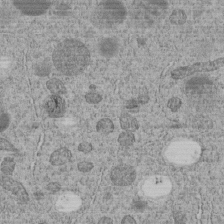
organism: C. elegans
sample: C. elegans embryo early stage